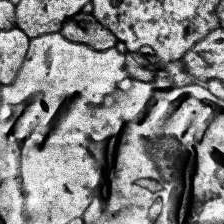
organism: Human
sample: Temporal Lobe